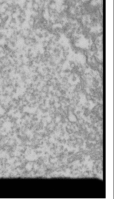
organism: Drosophila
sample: Cell division; meiosis; drosophila spermatocytes